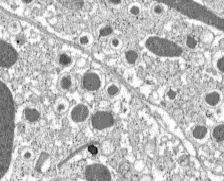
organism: C57BL Mouse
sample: Pancreatic islet